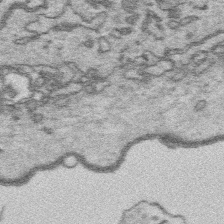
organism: Platynereis dumerilii